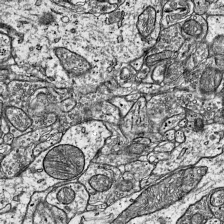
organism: Mouse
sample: Visual Cortex